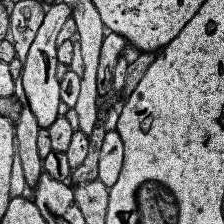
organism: Human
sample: Temporal Lobe